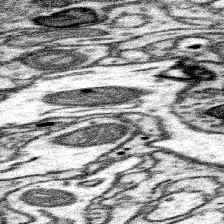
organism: Mouse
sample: Somatosensory cortex neuropil